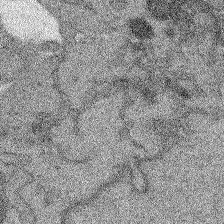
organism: Human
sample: HeLa cells